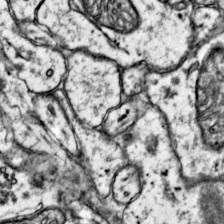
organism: Mouse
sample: Primary visual cortex